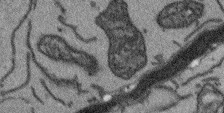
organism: Arabidopsis thaliana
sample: Root tip